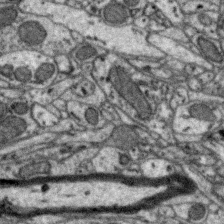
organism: Zebra finch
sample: Brain